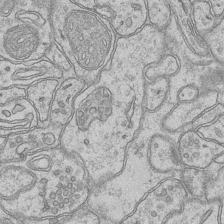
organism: Mouse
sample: CA1 Hippocampus